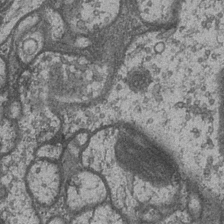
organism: Drosophila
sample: Optic medulla